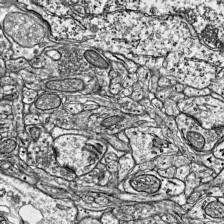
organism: Mouse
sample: Visual Cortex